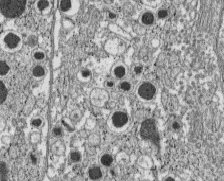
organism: C57BL Mouse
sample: Pancreatic islet